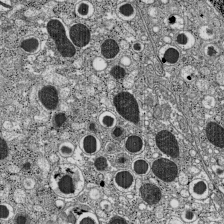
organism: C57BL Mouse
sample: Pancreatic islet